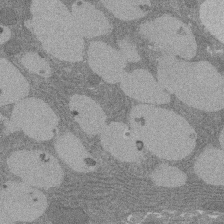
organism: Rat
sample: Salivary granule